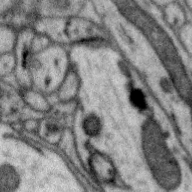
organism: Zebra finch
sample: Brain